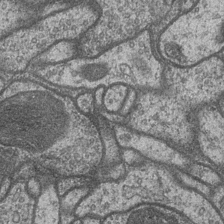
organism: Drosophila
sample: Optic medulla